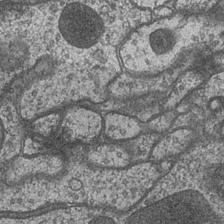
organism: Drosophila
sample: Optic medulla